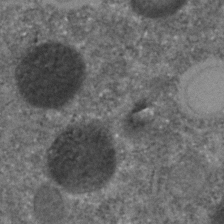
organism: C. elegans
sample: C. elegans embryo